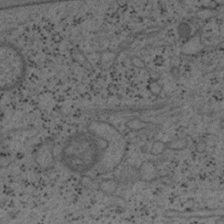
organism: Human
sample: HeLa cells